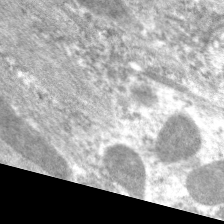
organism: C. elegans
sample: Pharynx